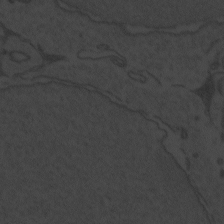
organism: Zebrafish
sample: Macrophage infected with Toxoplasma gondii